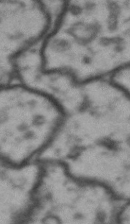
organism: Drosophila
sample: Brain